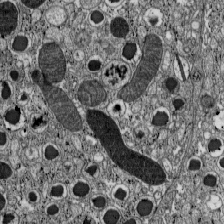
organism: C57BL Mouse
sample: Pancreatic islet